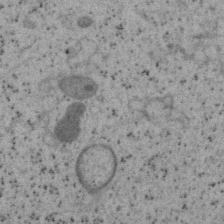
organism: Human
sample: HeLa cells